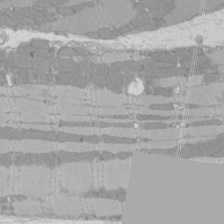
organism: Rat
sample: Left ventricle